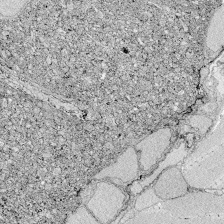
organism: Zebrafish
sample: Whole-Brain